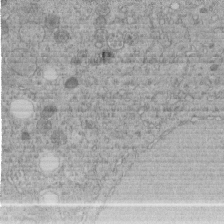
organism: C. elegans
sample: C. elegans embryo early stage